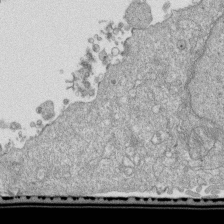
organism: Human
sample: HeLa cell HIV synapse